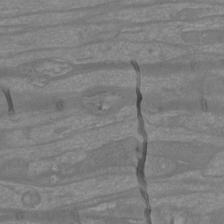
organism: Mouse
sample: Cortical neurons